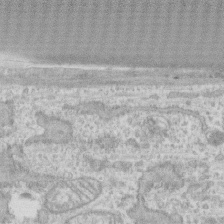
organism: Human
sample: CRL-1474